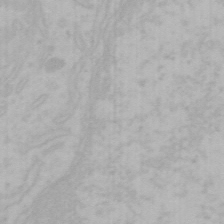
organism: Mouse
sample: Choroid plexus